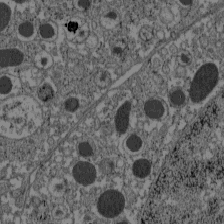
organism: C57BL Mouse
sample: Pancreatic islet